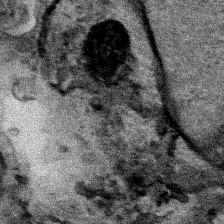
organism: Human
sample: Mitochondria in HCT116 cells